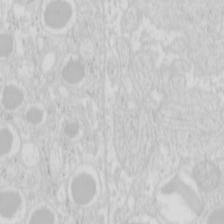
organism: Mouse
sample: Pancreas